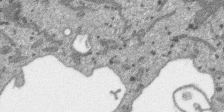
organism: Human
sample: Lung epithelial cells infected with SARS-CoV-2